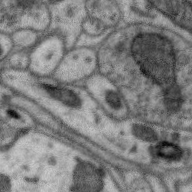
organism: Zebra finch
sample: Brain